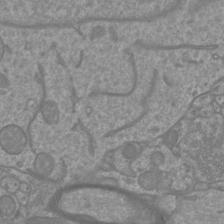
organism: Mouse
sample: Cortical neurons